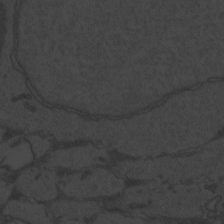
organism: Zebrafish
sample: Macrophage infected with Toxoplasma gondii